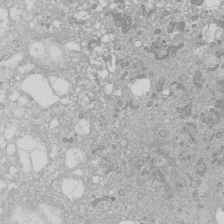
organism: Human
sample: Caco-2 cells